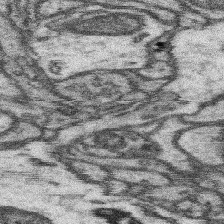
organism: Mouse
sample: Somatosensory cortex neuropil